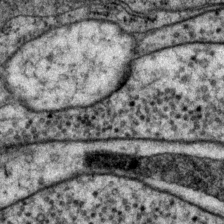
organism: P. pacificus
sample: Pharynx